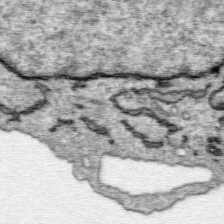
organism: Human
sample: HeLa cells